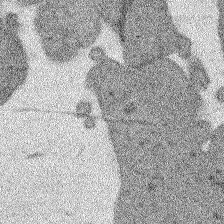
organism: Human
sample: HeLa cells